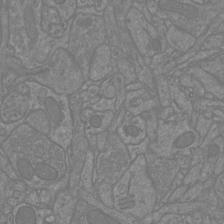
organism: Mouse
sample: Cortical neurons